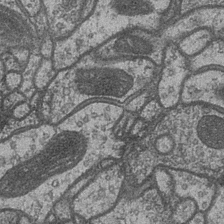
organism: Drosophila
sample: Optic medulla